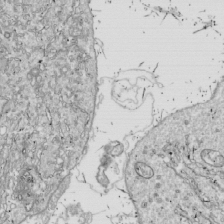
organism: Drosophila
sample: Cell division; meiosis; drosophila spermatocytes